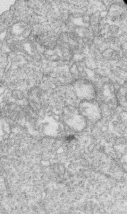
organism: Human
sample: HeLa cell HIV synapse